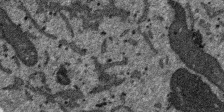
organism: Human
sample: Lung epithelial cells infected with SARS-CoV-2